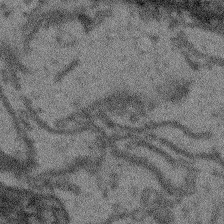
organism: Arabidopsis thaliana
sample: Root tip